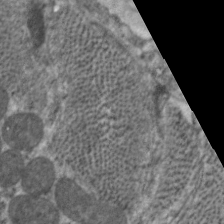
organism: C. elegans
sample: Pharynx